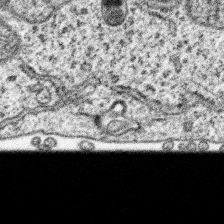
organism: Human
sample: HeLa cells